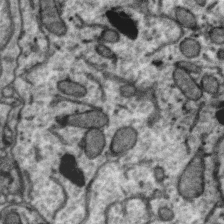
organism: Zebra finch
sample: Brain